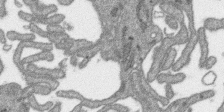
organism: Human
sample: Lung epithelial cells infected with SARS-CoV-2